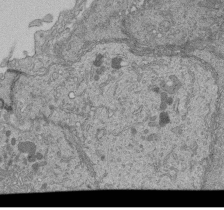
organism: Human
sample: Retinal organoid Rod and Cone cells